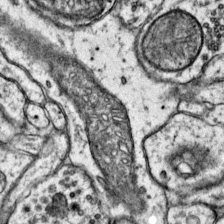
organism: Mouse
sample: Primary visual cortex